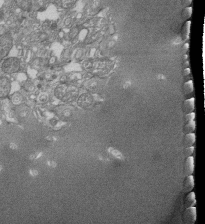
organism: Tetrahymena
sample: Cilia in tetrahymena